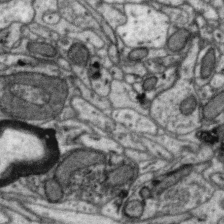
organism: Zebra finch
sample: Brain